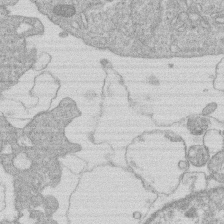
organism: Human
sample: Macrophage cells